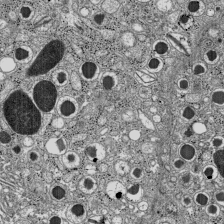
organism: C57BL Mouse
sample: Pancreatic islet